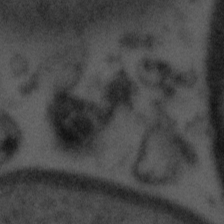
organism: Tuwongella immobilis